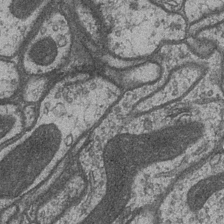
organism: Drosophila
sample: Optic medulla